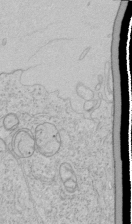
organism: Human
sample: Mitochondria in HCT116 cells